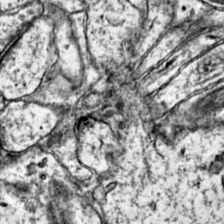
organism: Mouse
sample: Primary visual cortex